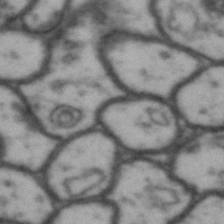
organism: Drosophila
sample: Brain